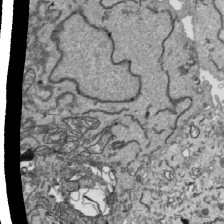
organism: Human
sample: Mitochondria in HCT116 cells